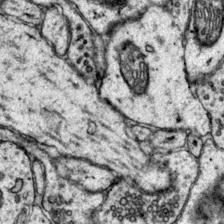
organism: Mouse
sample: Primary visual cortex